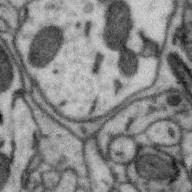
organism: Zebra finch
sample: Brain